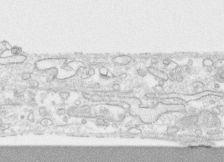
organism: Human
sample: CRL-1474